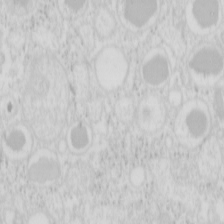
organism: Mouse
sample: Pancreas